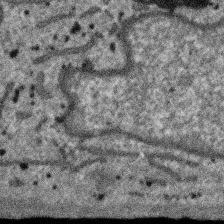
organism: Human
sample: Lung epithelial cells infected with SARS-CoV-2